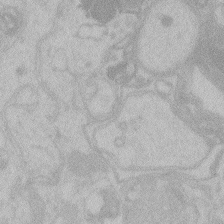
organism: Zebrafish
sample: Macrophage infected with Toxoplasma gondii